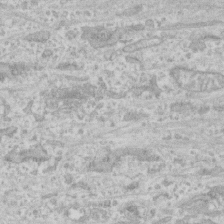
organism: Human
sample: CRL-1474